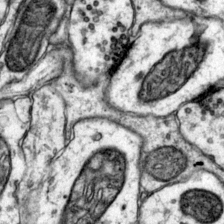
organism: Mouse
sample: Primary visual cortex